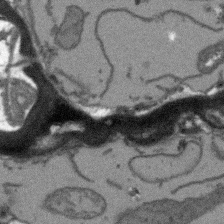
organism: Arabidopsis thaliana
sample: Root tip